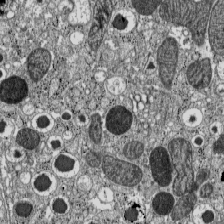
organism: C57BL Mouse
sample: Pancreatic islet